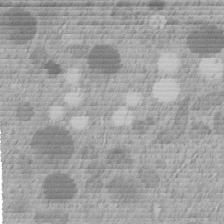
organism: C. elegans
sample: C. elegans embryo early stage